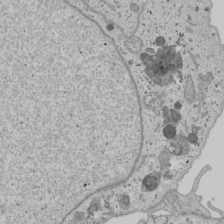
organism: Human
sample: Mitochondria in U2OS cells